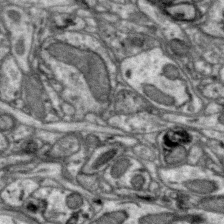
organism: Zebra finch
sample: Brain